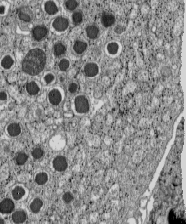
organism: C57BL Mouse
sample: Pancreatic islet